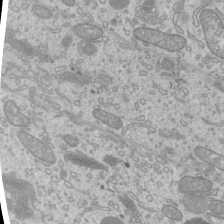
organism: Mouse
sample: Cilia; mouse epididymis